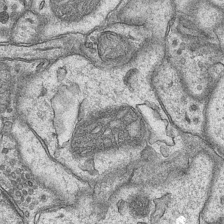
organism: Mouse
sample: CA1 Hippocampus